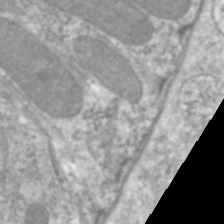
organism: C. elegans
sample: Pharynx